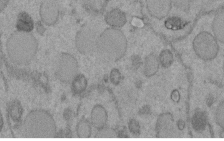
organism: C. elegans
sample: C. elegans embryo early stage